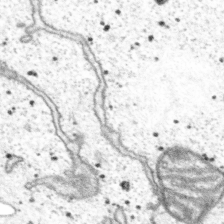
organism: Human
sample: HeLa cells